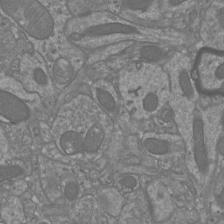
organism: Mouse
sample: Cortical neurons